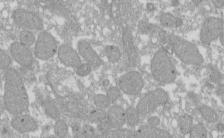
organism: Xenopus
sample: Cilia; centrioles in frog embryo cells